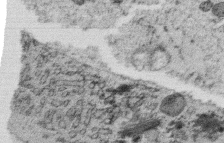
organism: C. elegans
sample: C. elegans oocyte; sperm cells